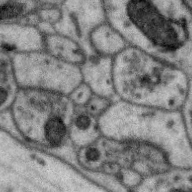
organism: Zebra finch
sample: Brain